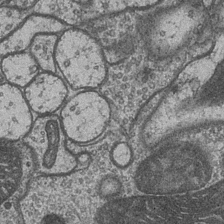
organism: Drosophila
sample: Optic medulla